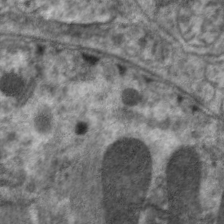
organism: C. elegans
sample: Pharynx